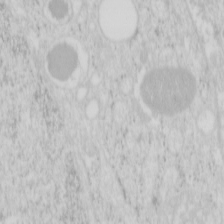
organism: Mouse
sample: Pancreas